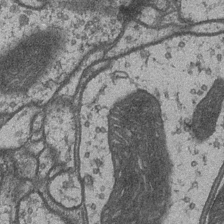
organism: Drosophila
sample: Optic medulla